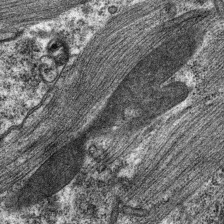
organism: C. elegans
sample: Pharynx